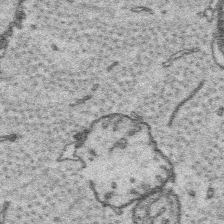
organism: Platynereis dumerilii